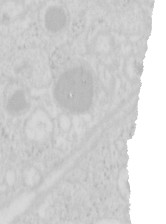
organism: Mouse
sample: Pancreas